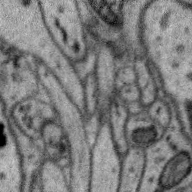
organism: Zebra finch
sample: Brain